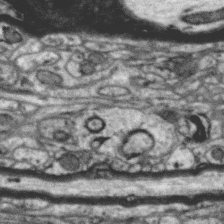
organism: Zebra finch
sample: Brain